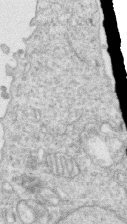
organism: Human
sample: HeLa cell HIV synapse